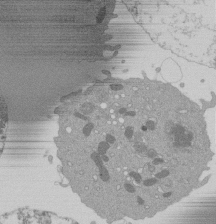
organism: Mouse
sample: Activated Pmel transgenic CD8+ T Cells